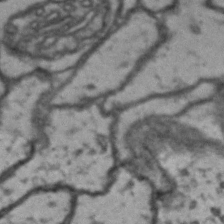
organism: Drosophila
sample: Brain